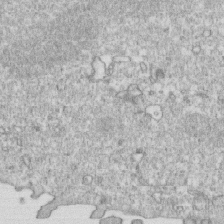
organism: Mouse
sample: Activated OT-1 CD8+ T cells